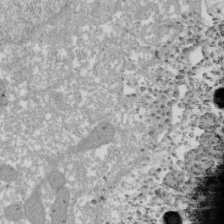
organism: Xenopus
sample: Cilia; centrioles in frog embryo cells